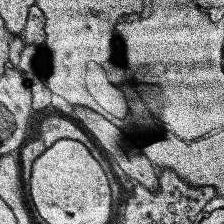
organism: Human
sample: Temporal Lobe